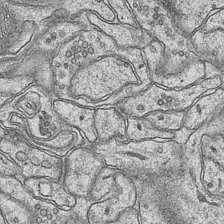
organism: Mouse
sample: CA1 Hippocampus